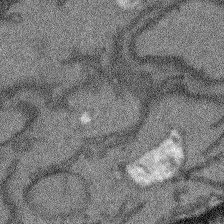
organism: Arabidopsis thaliana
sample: Root tip